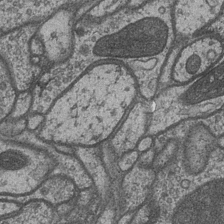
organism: Drosophila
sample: Optic medulla